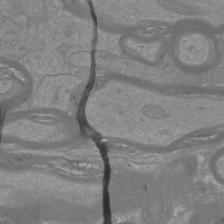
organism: Mouse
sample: Cortical neurons